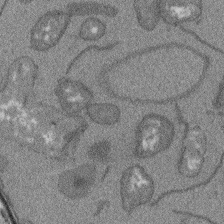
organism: Arabidopsis thaliana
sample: Root tip